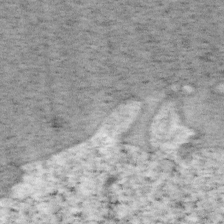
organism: Mouse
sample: OT-I killer T cells with ID8 ovarian cancer cells